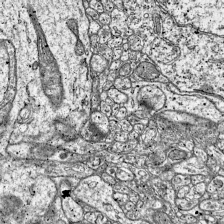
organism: Mouse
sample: Visual Cortex